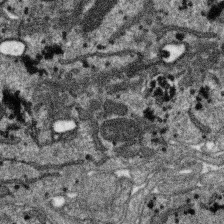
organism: Human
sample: Lung epithelial cells infected with SARS-CoV-2